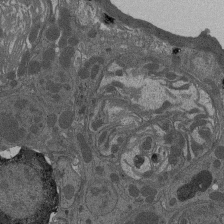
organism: Drosophila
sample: Antenna